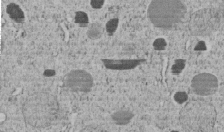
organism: C. elegans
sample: C. elegans embryo early stage